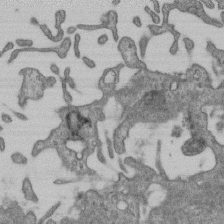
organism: Mouse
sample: Centriole in ependymal cells